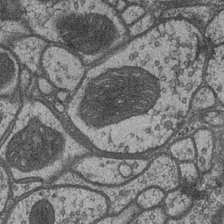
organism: Drosophila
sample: Optic medulla